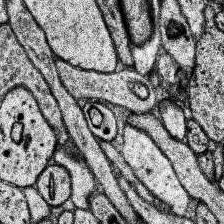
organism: Human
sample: Temporal Lobe